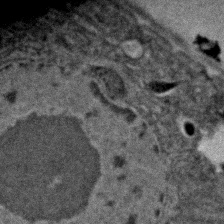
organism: C. elegans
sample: C. elegans embryo